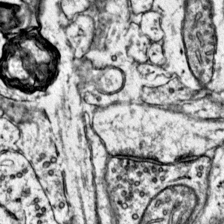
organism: Mouse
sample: Primary visual cortex